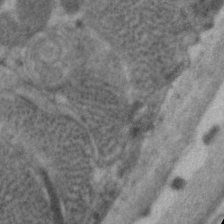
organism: C. elegans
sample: Pharynx